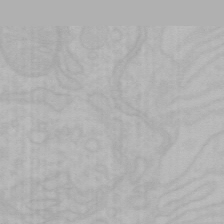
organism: Mouse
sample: Choroid plexus